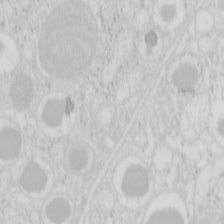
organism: Mouse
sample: Pancreas